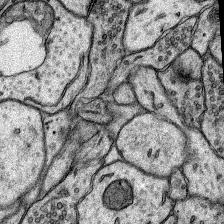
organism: Rat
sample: Hippocampus